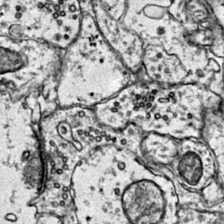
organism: Mouse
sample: Primary visual cortex